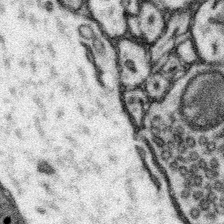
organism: Mouse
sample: Somatosensory cortex neuropil